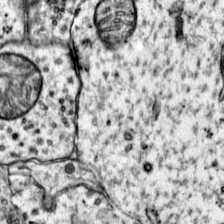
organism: Mouse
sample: Primary visual cortex